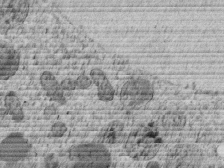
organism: C. elegans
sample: C. elegans embryo early stage